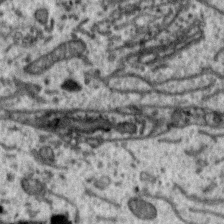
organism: Zebra finch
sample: Brain